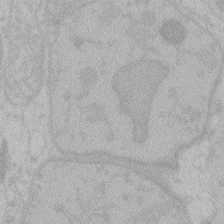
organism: Zebrafish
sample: Macrophage infected with Toxoplasma gondii